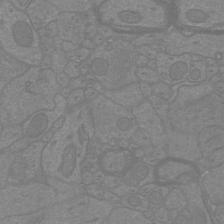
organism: Mouse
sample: Cortical neurons